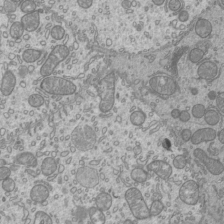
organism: Mouse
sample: Cilia; mouse epididymis